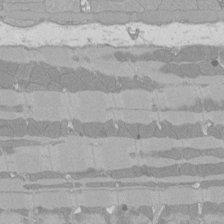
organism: Rat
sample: Left ventricle